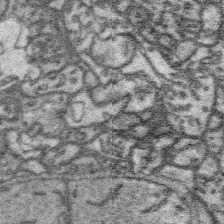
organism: Platynereis dumerilii